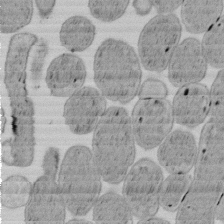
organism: E. coli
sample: Bacterial nucleoid